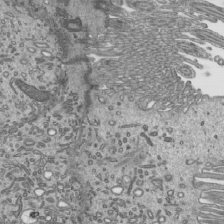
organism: Mouse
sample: Mouse epididymis efferent ductule cilia